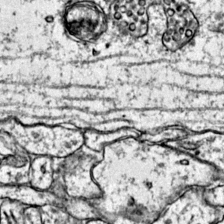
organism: Mouse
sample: Primary visual cortex